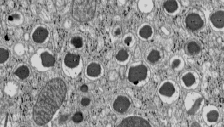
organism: C57BL Mouse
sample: Pancreatic islet